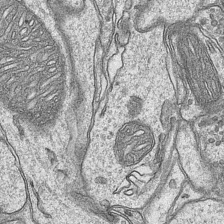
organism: Mouse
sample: CA1 Hippocampus